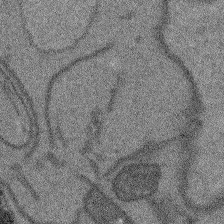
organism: Arabidopsis thaliana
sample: Root tip